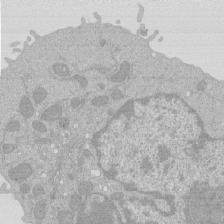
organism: Mouse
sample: Activated Pmel transgenic CD8+ T Cells